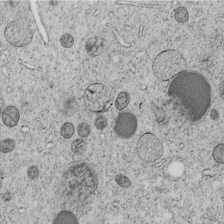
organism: C. elegans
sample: C. elegans embryo early stage